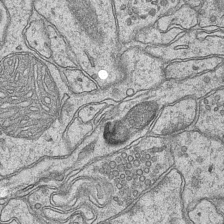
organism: Mouse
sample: CA1 Hippocampus